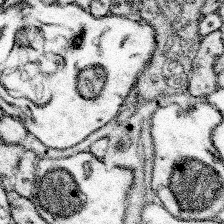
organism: Mouse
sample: Somatosensory cortex neuropil